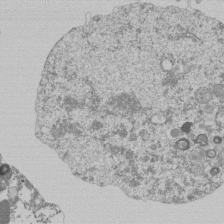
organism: Mouse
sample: Activated Pmel transgenic CD8+ T Cells